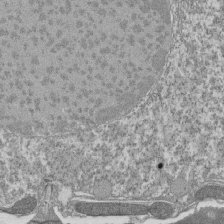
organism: Tetrahymena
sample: Cilia in tetrahymena